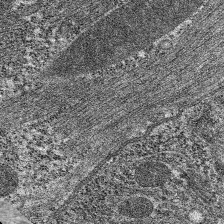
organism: C. elegans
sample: Pharynx